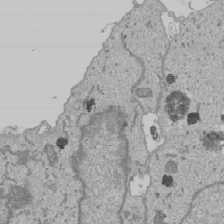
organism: Human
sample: Mitochondria in U2OS cells